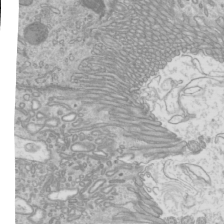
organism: Mouse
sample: Cilia; mouse epididymis